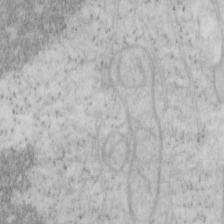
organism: Human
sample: HeLa cells